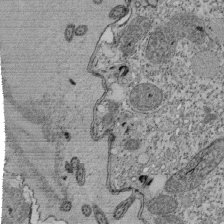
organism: Tetrahymena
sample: Cilia in tetrahymena